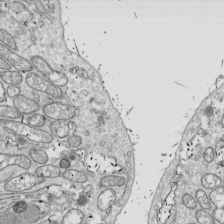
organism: Drosophila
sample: Cell division; meiosis; drosophila spermatocytes